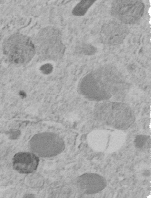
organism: C. elegans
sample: C. elegans embryo early stage